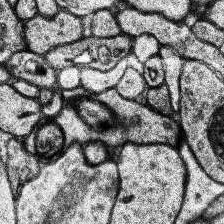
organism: Human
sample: Temporal Lobe